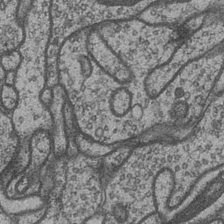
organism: Drosophila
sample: Optic medulla